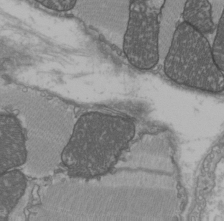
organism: C57BL Mouse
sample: Heart